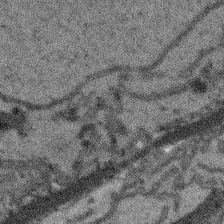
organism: Arabidopsis thaliana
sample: Root tip